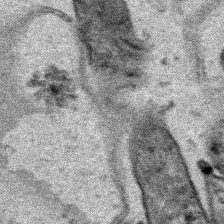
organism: Human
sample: Mitochondria in HCT116 cells